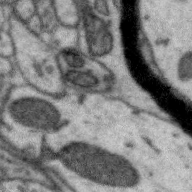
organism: Zebra finch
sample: Brain